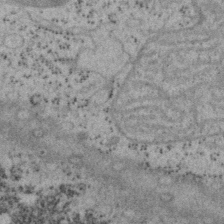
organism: Human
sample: HeLa cells